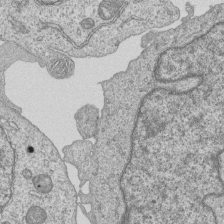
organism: Human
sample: MDA-MB-231 cells